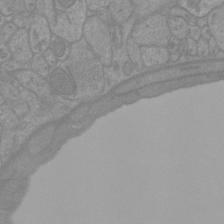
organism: Mouse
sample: Cortical neurons